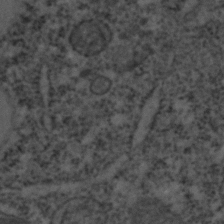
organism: C. elegans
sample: C. elegans embryo